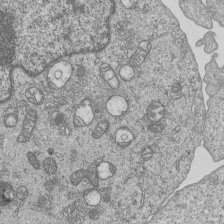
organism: Human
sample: MDA-MB-231 cells